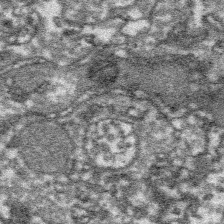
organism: Platynereis dumerilii